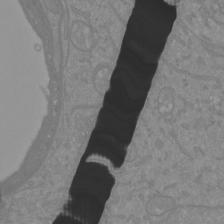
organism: Mouse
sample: Cortical neurons